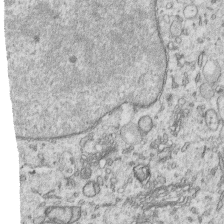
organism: Human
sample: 1205lu cells